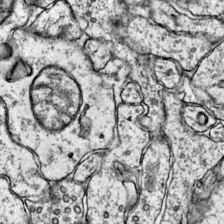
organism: Mouse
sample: Primary visual cortex